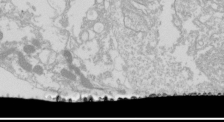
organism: Drosophila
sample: Cell division; meiosis; drosophila spermatocytes